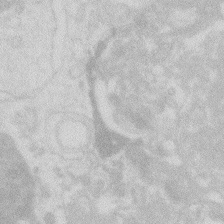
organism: Zebrafish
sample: Macrophage